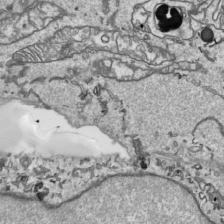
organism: Human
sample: Mitochondria in HCT116 cells